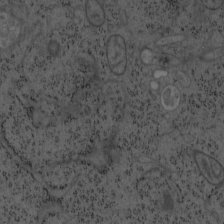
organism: Mouse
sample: OT-I killer T cells with ID8 ovarian cancer cells